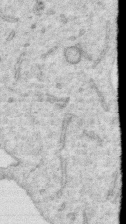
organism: Human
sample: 1205lu cells